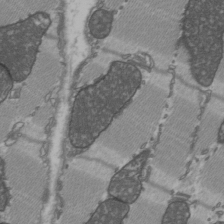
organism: C57BL Mouse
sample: Heart